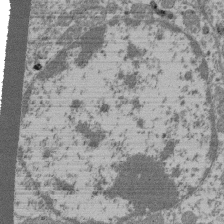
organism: Mouse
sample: Glomerulus